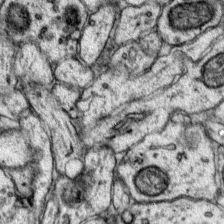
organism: Mouse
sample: Primary visual cortex